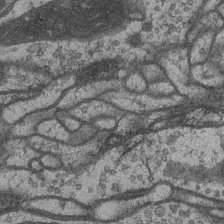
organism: Drosophila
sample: Optic medulla